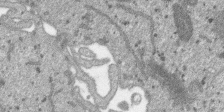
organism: Human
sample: Lung epithelial cells infected with SARS-CoV-2